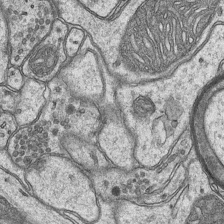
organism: Mouse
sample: CA1 Hippocampus